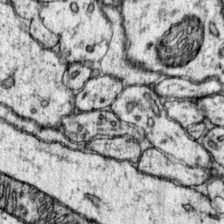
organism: Mouse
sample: Primary visual cortex